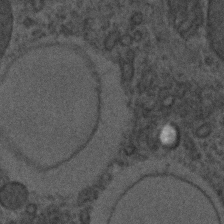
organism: C. elegans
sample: C. elegans embryo